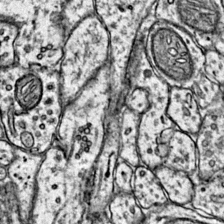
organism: Mouse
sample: Primary visual cortex